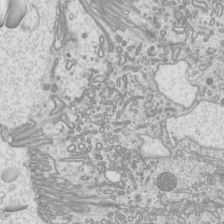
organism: Mouse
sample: Cilia; mouse epididymis